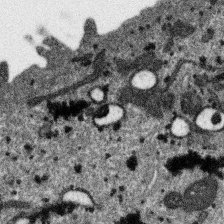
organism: Human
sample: Lung epithelial cells infected with SARS-CoV-2